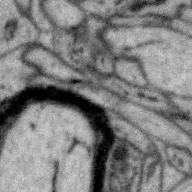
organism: Zebra finch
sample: Brain